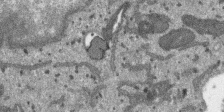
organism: Human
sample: Lung epithelial cells infected with SARS-CoV-2